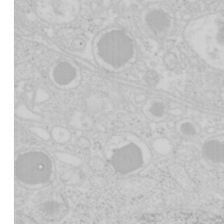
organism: Mouse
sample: Pancreas